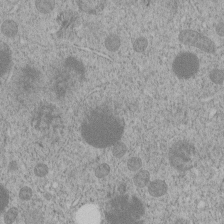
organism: C. elegans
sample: C. elegans embryo early stage